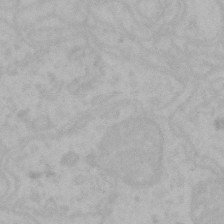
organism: Mouse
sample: Choroid plexus